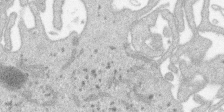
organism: Human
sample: Lung epithelial cells infected with SARS-CoV-2